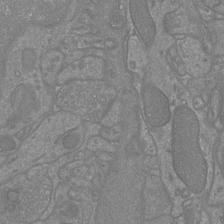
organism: Mouse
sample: Cortical neurons